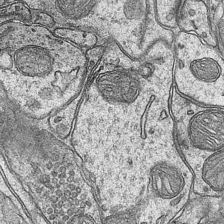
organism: Mouse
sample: CA1 Hippocampus